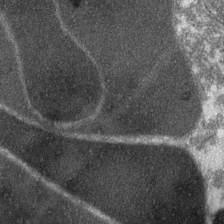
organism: Zebrafish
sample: Zebrafish embryo